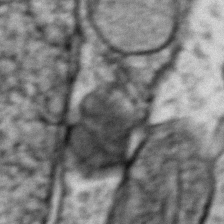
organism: Zebrafish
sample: Zebrafish embryo